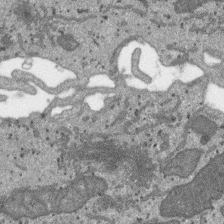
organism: Human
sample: Lung epithelial cells infected with SARS-CoV-2